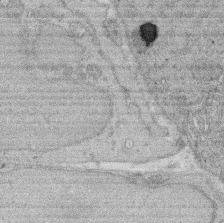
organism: Rat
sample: Salivary granule